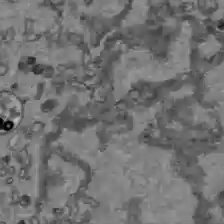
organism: C57BL Mouse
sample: Liver